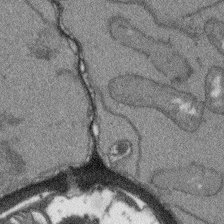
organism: Arabidopsis thaliana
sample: Root tip